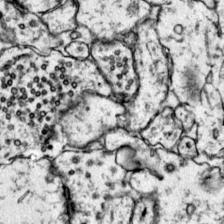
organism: Mouse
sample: Primary visual cortex